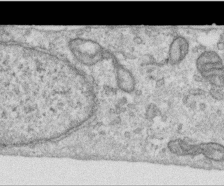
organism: Human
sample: Centriole in RPE cells